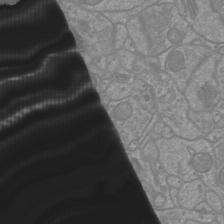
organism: Mouse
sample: Cortical neurons